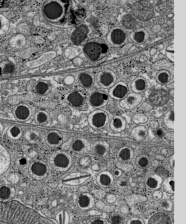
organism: C57BL Mouse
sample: Pancreatic islet